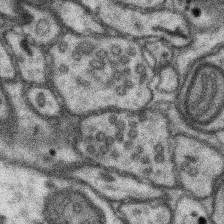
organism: Mouse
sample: Somatosensory cortex neuropil